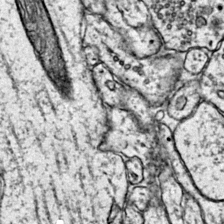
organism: Mouse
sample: Primary visual cortex